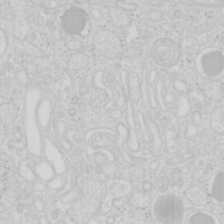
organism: Mouse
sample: Pancreas